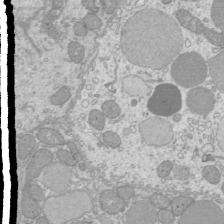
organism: Mouse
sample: Cilia; mouse epididymis